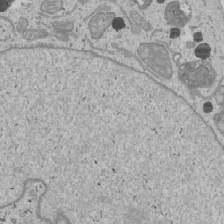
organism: Human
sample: Mitochondria in U2OS cells